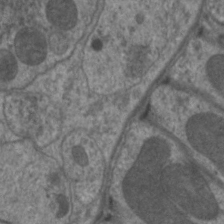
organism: C. elegans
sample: Pharynx